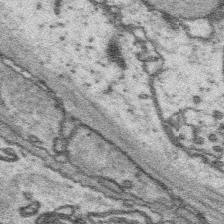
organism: Platynereis dumerilii